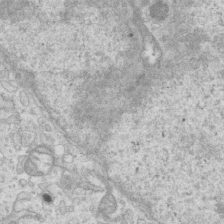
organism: Mouse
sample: Centriole in ependymal cells